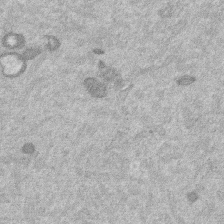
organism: Mouse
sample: Dividing mouse embryo 1 cell stage